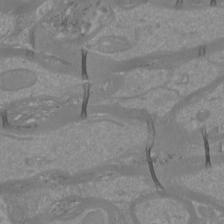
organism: Mouse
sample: Cortical neurons